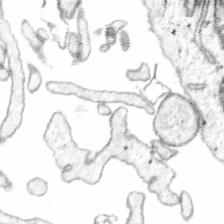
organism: Human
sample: HeLa cells